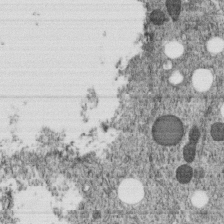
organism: C. elegans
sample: C. elegans embryo early stage